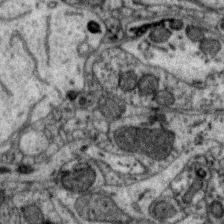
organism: Zebra finch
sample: Brain